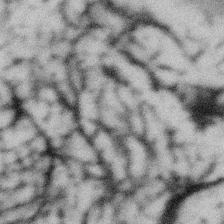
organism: Gemmata obscuriglobus